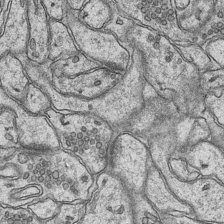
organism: Mouse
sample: CA1 Hippocampus